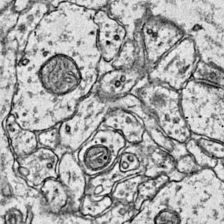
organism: Mouse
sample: Primary visual cortex